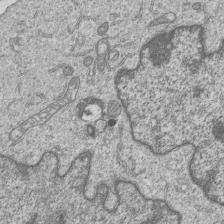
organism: Human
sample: MDA-MB-231 cells